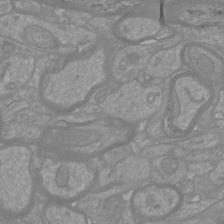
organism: Mouse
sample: Cortical neurons